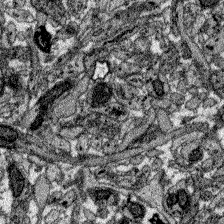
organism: Zebrafish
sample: Larval olfactory bulb